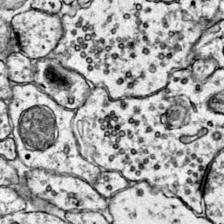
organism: Mouse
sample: Primary visual cortex